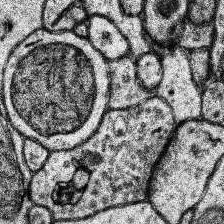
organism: Human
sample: Temporal Lobe